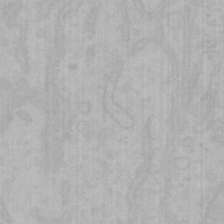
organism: Mouse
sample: Choroid plexus